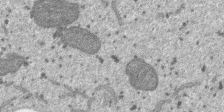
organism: Human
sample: Lung epithelial cells infected with SARS-CoV-2